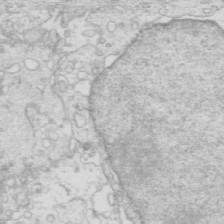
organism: Mouse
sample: Multiciliated cells